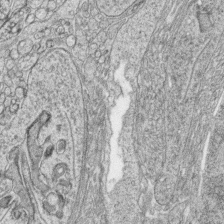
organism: Zebrafish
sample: synaptic ribbons in rod cells and cone cells